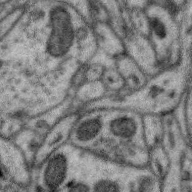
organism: Zebra finch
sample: Brain